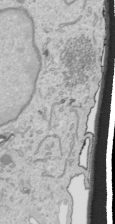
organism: Human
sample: Mitochondria in HCT116 cells